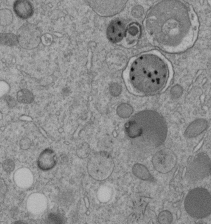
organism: C. elegans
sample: C. elegans embryo early stage